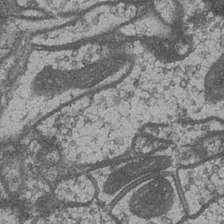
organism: Drosophila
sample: Optic medulla